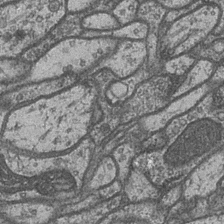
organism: Drosophila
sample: Optic medulla